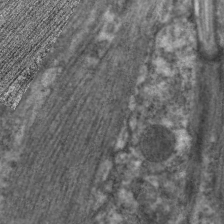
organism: C. elegans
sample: Pharynx